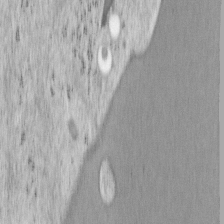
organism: Human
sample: HeLa cells